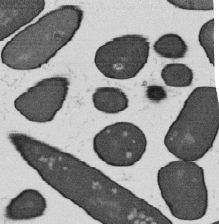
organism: B. subtilis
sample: Bacterial spore